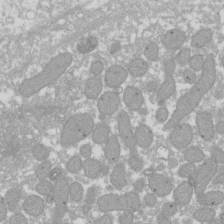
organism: Xenopus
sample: Cilia; centrioles in frog embryo cells